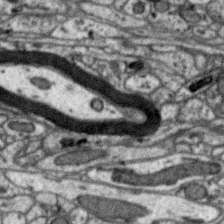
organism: Zebra finch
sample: Brain